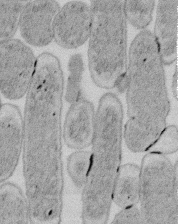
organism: E. coli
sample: Bacterial nucleoid